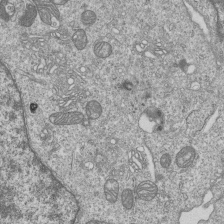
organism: Human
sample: MDA-MB-231 cells